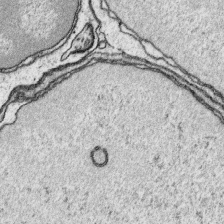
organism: Platynereis dumerilii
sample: Parapodia